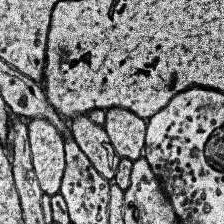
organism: Human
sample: Temporal Lobe